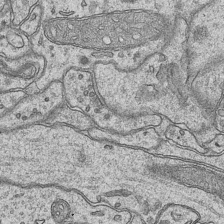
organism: Mouse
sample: CA1 Hippocampus